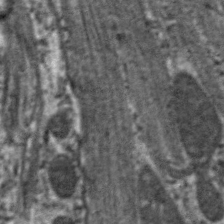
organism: C. elegans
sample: Pharynx